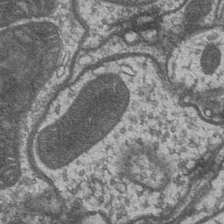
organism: Drosophila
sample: Optic medulla